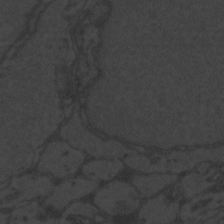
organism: Zebrafish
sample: Macrophage infected with Toxoplasma gondii